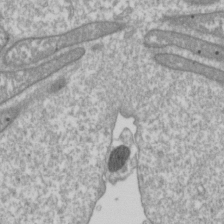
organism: Drosophila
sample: Cell division; meiosis; drosophila spermatocytes